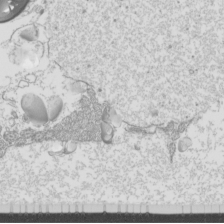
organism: Mouse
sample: Cilia; mouse epididymis